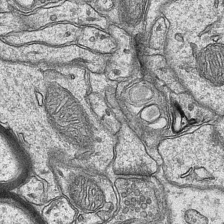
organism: Mouse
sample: CA1 Hippocampus